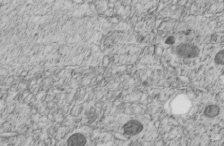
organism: C. elegans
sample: C. elegans embryo early stage